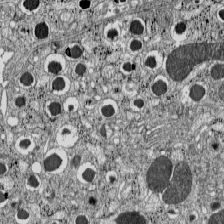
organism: C57BL Mouse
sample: Pancreatic islet